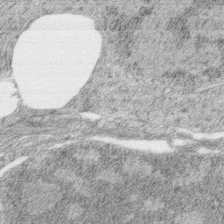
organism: Zebrafish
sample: synaptic ribbons in rod cells and cone cells